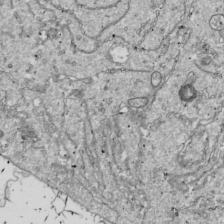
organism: Drosophila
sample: Cell division; meiosis; drosophila spermatocytes